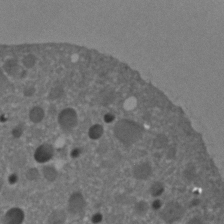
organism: C. elegans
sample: C. elegans embryo